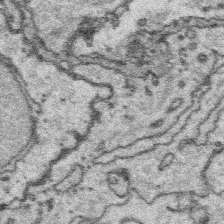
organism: Platynereis dumerilii